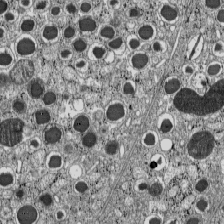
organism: C57BL Mouse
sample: Pancreatic islet